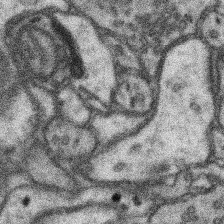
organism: Mouse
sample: Somatosensory cortex neuropil